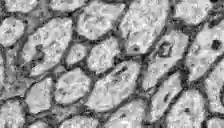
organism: Zebrafish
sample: Brain